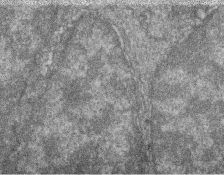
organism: Zebrafish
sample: Cilia; retinal pigment epithelium